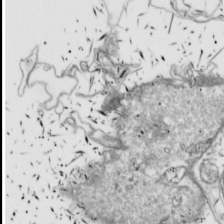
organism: Drosophila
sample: Cell division; meiosis; drosophila spermatocytes